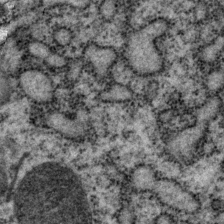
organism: P. pacificus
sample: Pharynx